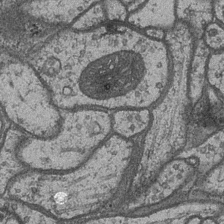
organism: Drosophila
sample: Optic medulla